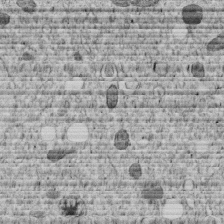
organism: C. elegans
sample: C. elegans embryo early stage